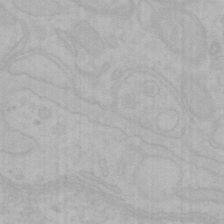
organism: Mouse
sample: Choroid plexus